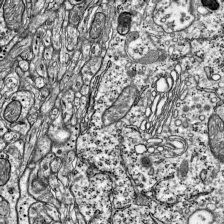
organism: Mouse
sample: Visual Cortex